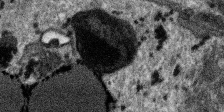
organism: Human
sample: Lung epithelial cells infected with SARS-CoV-2